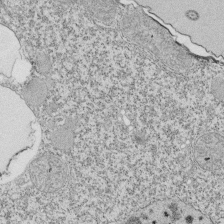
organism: Tetrahymena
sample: Cilia in tetrahymena